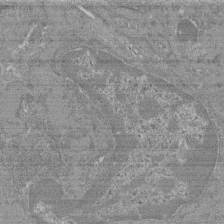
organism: Mouse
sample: Glomerulus